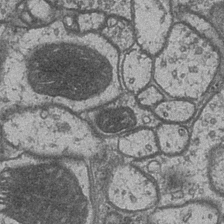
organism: Drosophila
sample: Optic medulla